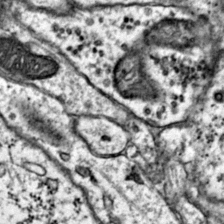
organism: Mouse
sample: Primary visual cortex